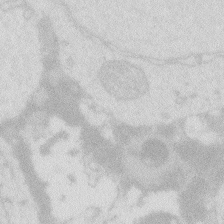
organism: Zebrafish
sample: Macrophage